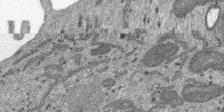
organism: Human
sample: Lung epithelial cells infected with SARS-CoV-2